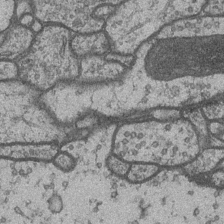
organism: Drosophila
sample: Optic medulla